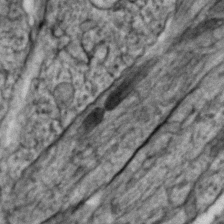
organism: Zebrafish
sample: Zebrafish embryo